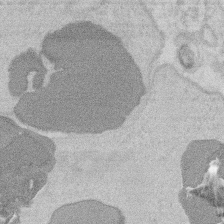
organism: Mouse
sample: T cell stromal cell synapse